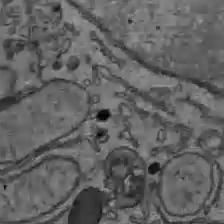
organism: C57BL Mouse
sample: Liver